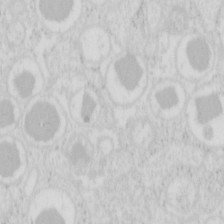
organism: Mouse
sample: Pancreas